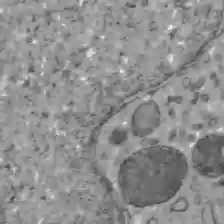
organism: C57BL Mouse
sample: Liver